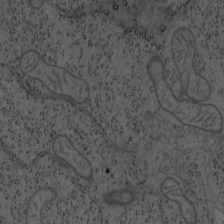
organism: Mouse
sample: OT-I killer T cells with ID8 ovarian cancer cells